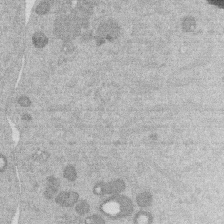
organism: Mouse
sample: Dividing mouse embryo 1 cell stage